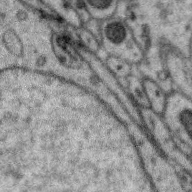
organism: Zebra finch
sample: Brain